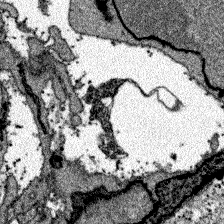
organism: Zebrafish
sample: Larval olfactory bulb